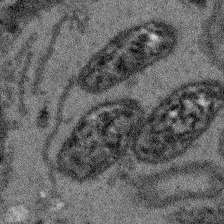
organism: Arabidopsis thaliana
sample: Root tip